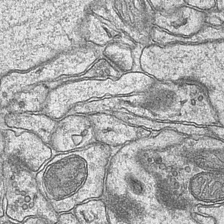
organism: Mouse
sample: CA1 Hippocampus